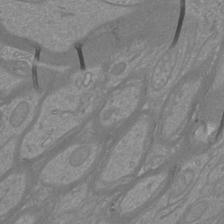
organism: Mouse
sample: Cortical neurons